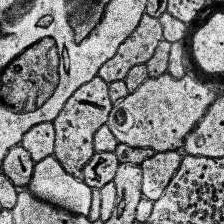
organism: Human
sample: Temporal Lobe